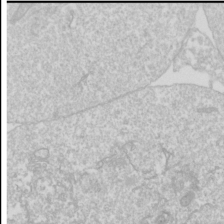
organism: Drosophila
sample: Cell division; meiosis; drosophila spermatocytes